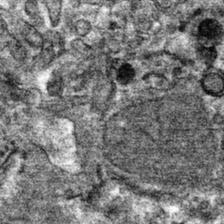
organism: Mouse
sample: Mouse hepatocytes